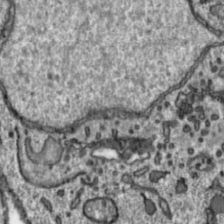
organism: Toxoplasma gondii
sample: Parasites in a vacuole inside a host cell